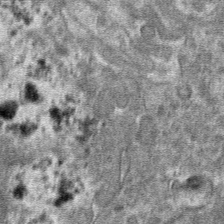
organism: Mouse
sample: Mouse hepatocytes